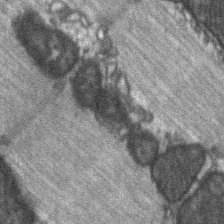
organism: C57BL Mouse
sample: Soleus